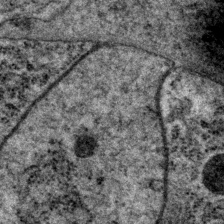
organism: P. pacificus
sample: Pharynx